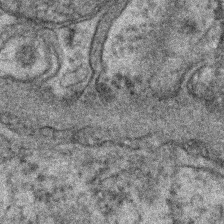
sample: Kidney